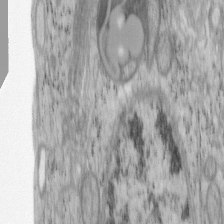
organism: Human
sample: HeLa cells